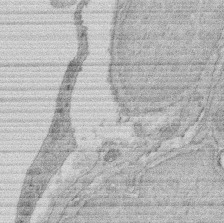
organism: Rat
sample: Salivary granule